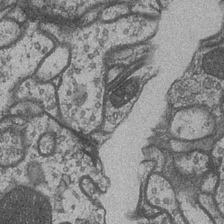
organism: Drosophila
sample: Optic medulla